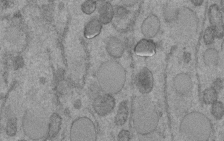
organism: C. elegans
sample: C. elegans embryo early stage